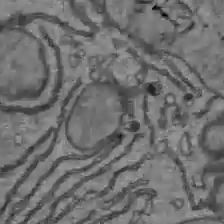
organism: C57BL Mouse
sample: Liver